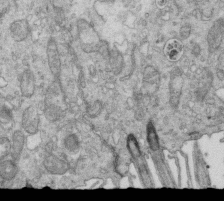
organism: Mouse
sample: Multiciliated cells